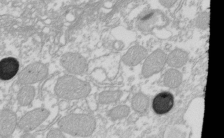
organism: Xenopus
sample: Cilia; centrioles in frog embryo cells